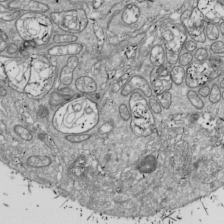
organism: Drosophila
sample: Cell division; meiosis; drosophila spermatocytes